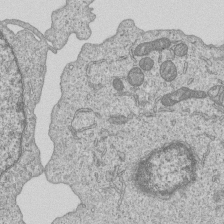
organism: Human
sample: MDA-MB-231 cells